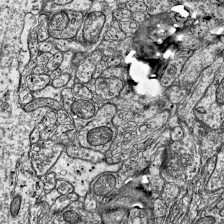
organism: Mouse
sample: Visual Cortex